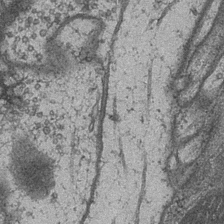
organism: Drosophila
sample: Optic medulla